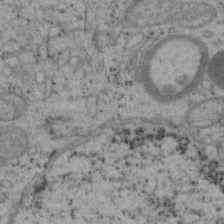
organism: Human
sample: HeLa cells